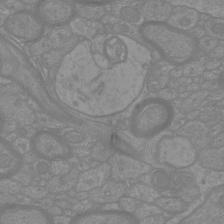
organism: Mouse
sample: Cortical neurons